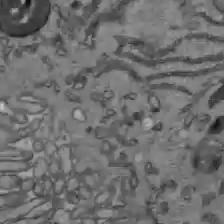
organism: C57BL Mouse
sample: Liver